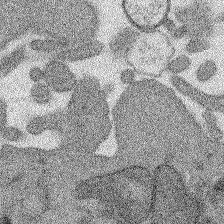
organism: Human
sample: HeLa cells